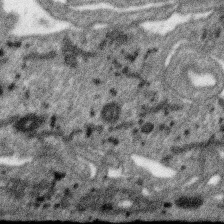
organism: Human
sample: Lung epithelial cells infected with SARS-CoV-2